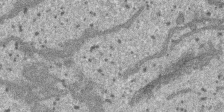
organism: Human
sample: Lung epithelial cells infected with SARS-CoV-2